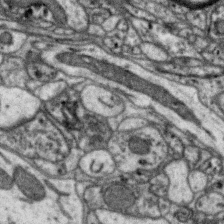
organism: Zebra finch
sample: Brain